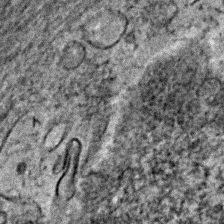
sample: Trachea